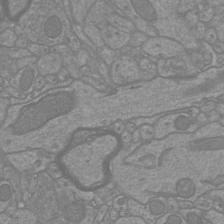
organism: Mouse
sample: Cortical neurons